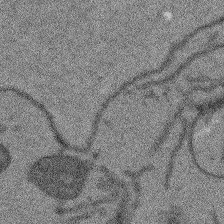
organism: Arabidopsis thaliana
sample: Root tip